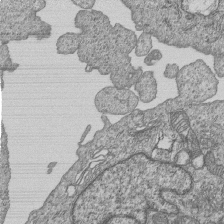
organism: Human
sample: MDA-MB-231 cells